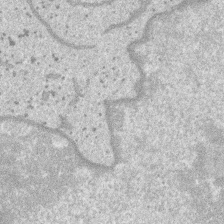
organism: Human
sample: Lung epithelial cells infected with SARS-CoV-2